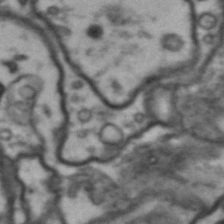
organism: Drosophila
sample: Brain